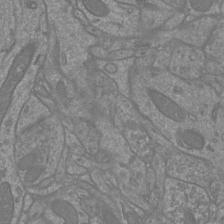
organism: Mouse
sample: Cortical neurons